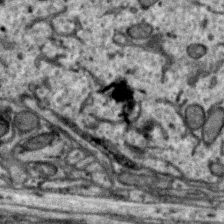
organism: Zebra finch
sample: Brain